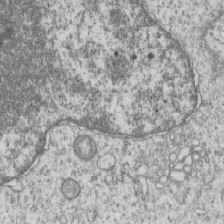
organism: Human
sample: MDA-MB-231 cells